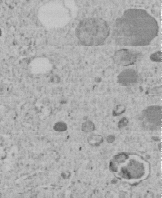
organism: C. elegans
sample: C. elegans embryo early stage